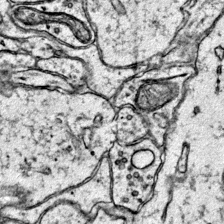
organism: Mouse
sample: Primary visual cortex